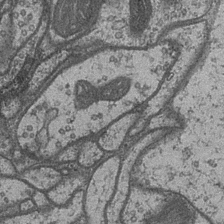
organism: Drosophila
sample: Optic medulla